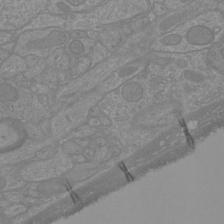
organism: Mouse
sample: Cortical neurons